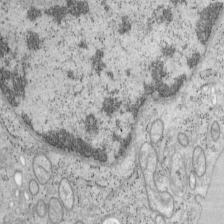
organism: Mouse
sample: OT-I killer T cells with ID8 ovarian cancer cells